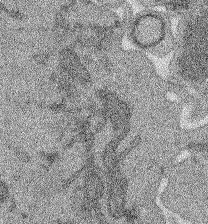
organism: Human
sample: HeLa cells